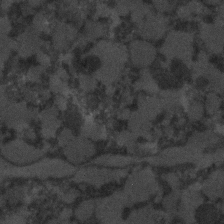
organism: C. elegans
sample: C. elegans embryo